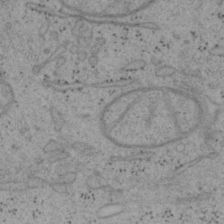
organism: Human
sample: HeLa cells